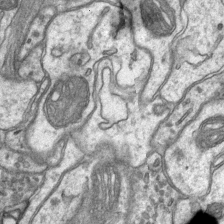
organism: Mouse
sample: CA1 Hippocampus